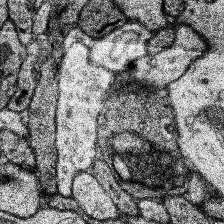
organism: Human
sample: Temporal Lobe